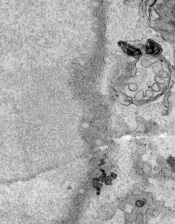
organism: Human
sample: Mitochondria in HCT116 cells